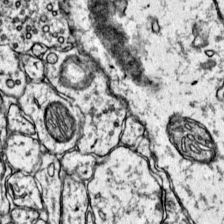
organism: Mouse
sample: Primary visual cortex